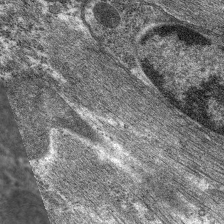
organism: C. elegans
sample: Pharynx